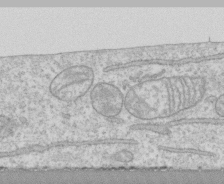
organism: Human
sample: CRL-1474